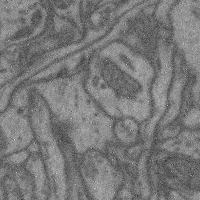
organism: Mouse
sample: Cerebral cortex